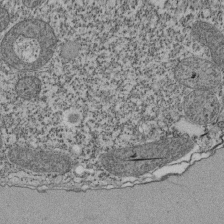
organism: Tetrahymena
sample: Cilia in tetrahymena